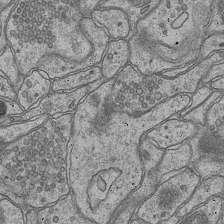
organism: Mouse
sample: CA1 Hippocampus